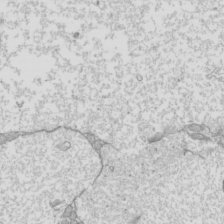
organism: Mouse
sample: Cilia; mouse epididymis